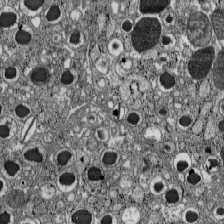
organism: C57BL Mouse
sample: Pancreatic islet